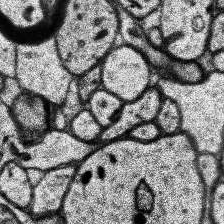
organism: Human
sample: Temporal Lobe